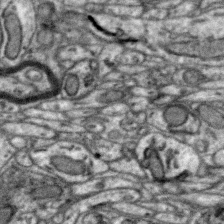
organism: Zebra finch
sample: Brain